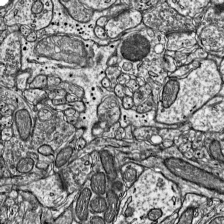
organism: Mouse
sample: Visual Cortex